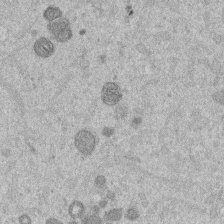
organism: Mouse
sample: Dividing mouse embryo 1 cell stage